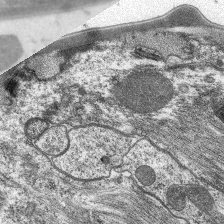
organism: C. elegans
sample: Pharynx